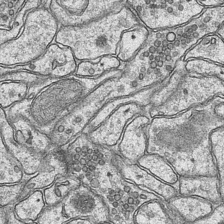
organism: Mouse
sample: CA1 Hippocampus